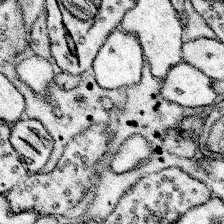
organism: Mouse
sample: Somatosensory cortex neuropil